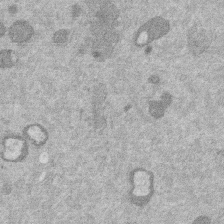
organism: Mouse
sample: Dividing mouse embryo 1 cell stage